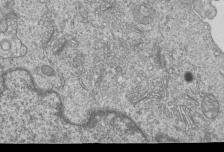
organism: Human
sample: MDA-MB-231 cells